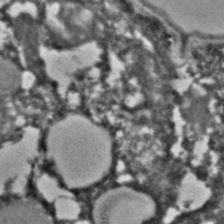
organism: C. elegans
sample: C. elegans embryo